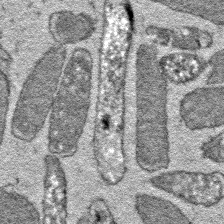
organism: E. coli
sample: E. Coli Bacteria